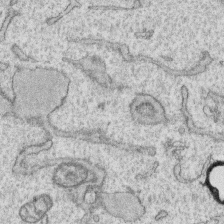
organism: Human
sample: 1205lu cells